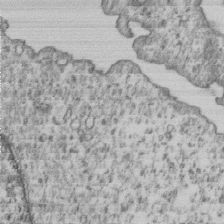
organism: Human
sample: MDA-MB-231 cells